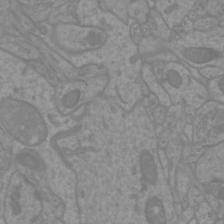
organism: Mouse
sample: Cortical neurons